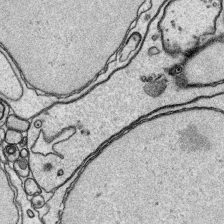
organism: Platynereis dumerilii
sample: Parapodia